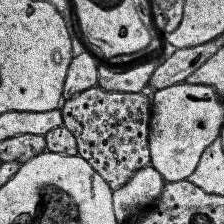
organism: Human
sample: Temporal Lobe